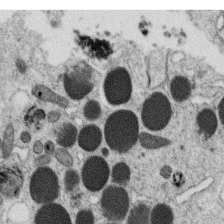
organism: C. elegans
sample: C. elegans oocyte; sperm cells